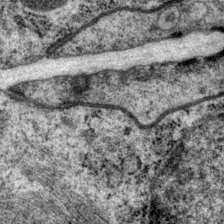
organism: P. pacificus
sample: Pharynx